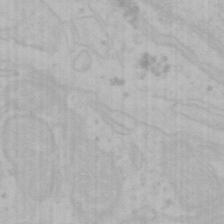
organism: Mouse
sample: Choroid plexus